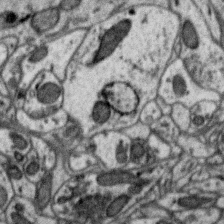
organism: Zebra finch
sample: Brain